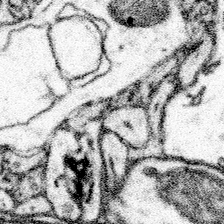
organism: Mouse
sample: Somatosensory cortex neuropil